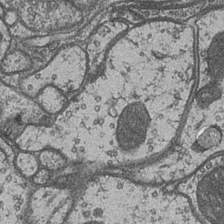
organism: Drosophila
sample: Optic medulla